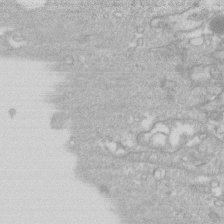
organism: Human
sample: Fibroblast cells